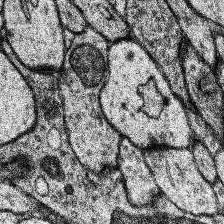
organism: Human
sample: Temporal Lobe